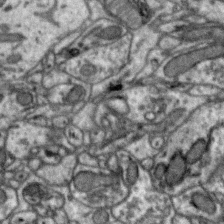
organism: Zebra finch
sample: Brain